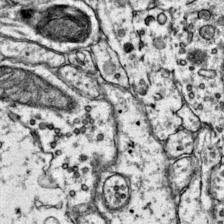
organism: Mouse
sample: Primary visual cortex